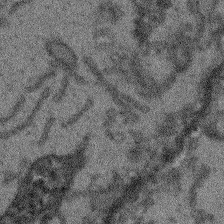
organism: Arabidopsis thaliana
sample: Root tip